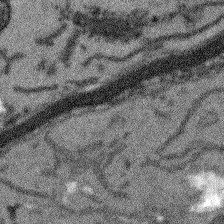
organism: Arabidopsis thaliana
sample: Root tip